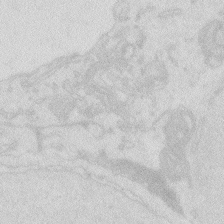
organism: Zebrafish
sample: Macrophage